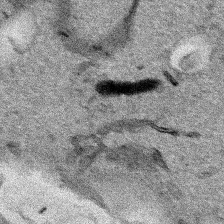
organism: Human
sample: Mitochondria in HCT116 cells